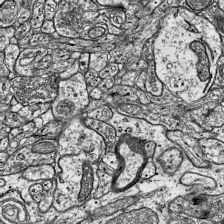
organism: Mouse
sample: Visual Cortex